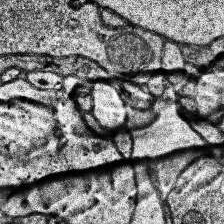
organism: Human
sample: Temporal Lobe